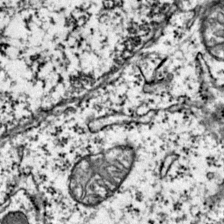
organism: Mouse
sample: Primary visual cortex